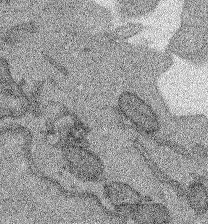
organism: Human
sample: HeLa cells